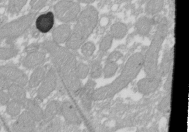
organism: Xenopus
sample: Cilia; centrioles in frog embryo cells